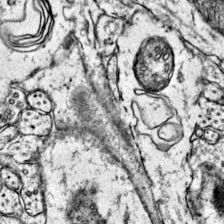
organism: Mouse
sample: Primary visual cortex